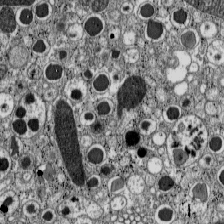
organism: C57BL Mouse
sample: Pancreatic islet